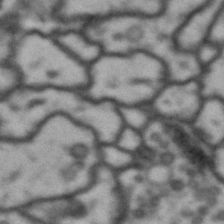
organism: Drosophila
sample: Brain